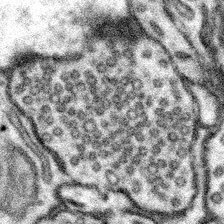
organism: Mouse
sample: Somatosensory cortex neuropil